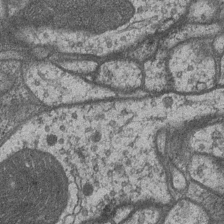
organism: Drosophila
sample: Optic medulla